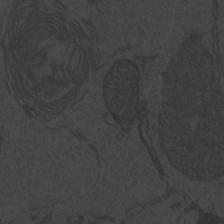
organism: Zebrafish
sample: Macrophage infected with Toxoplasma gondii